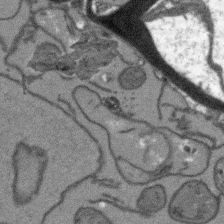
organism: Arabidopsis thaliana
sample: Root tip